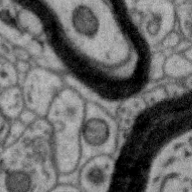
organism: Zebra finch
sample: Brain